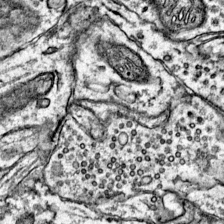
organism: Mouse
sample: Primary visual cortex